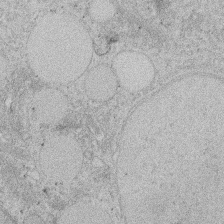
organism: Rat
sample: Salivary granule